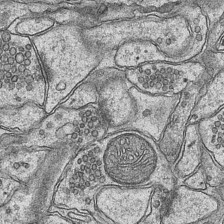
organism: Mouse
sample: CA1 Hippocampus